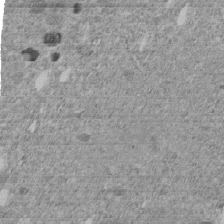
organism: C. elegans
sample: C. elegans embryo early stage